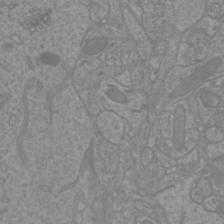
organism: Mouse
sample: Cortical neurons